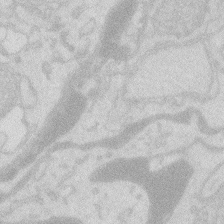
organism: Zebrafish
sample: Macrophage